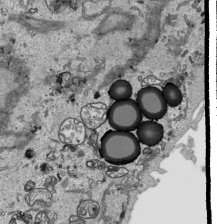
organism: Human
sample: Mitochondria in HCT116 cells